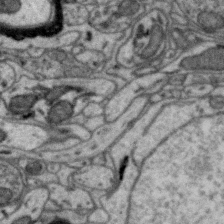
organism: Zebra finch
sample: Brain